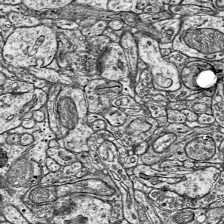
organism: Mouse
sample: Visual Cortex